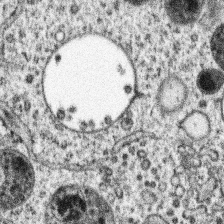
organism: Human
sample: HeLa cells